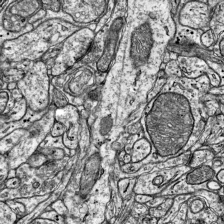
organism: Mouse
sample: Visual Cortex